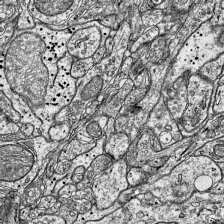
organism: Mouse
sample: Visual Cortex